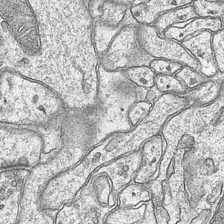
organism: Mouse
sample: CA1 Hippocampus